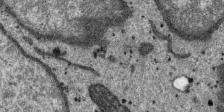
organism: Human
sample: Lung epithelial cells, uninfected (mock) control